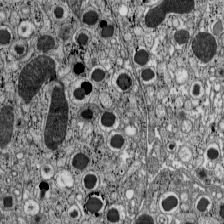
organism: C57BL Mouse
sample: Pancreatic islet